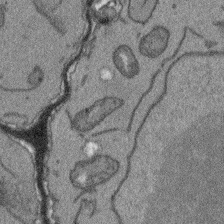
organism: Arabidopsis thaliana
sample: Root tip